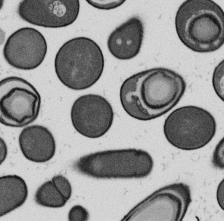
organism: B. subtilis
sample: Bacterial spore